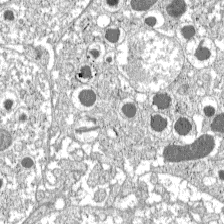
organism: C57BL Mouse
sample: Pancreatic islet